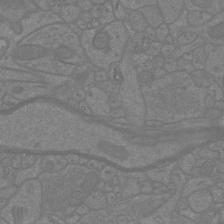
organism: Mouse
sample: Cortical neurons